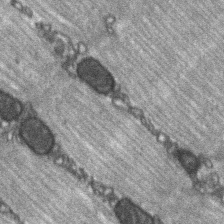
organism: C57BL Mouse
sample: Soleus